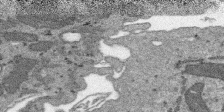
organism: Human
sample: Lung epithelial cells infected with SARS-CoV-2